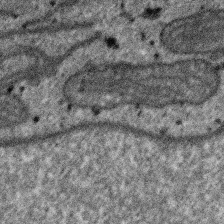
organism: Human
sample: Lung epithelial cells infected with SARS-CoV-2